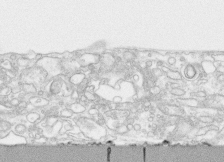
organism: Human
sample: CRL-1474